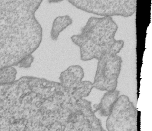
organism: Human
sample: MDA-MB-231 cells